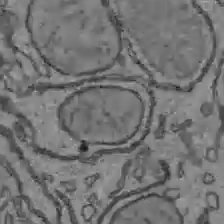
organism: C57BL Mouse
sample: Liver